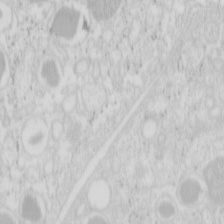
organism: Mouse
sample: Pancreas